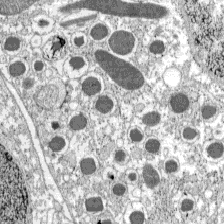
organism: C57BL Mouse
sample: Pancreatic islet